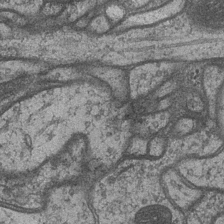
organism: Drosophila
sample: Optic medulla